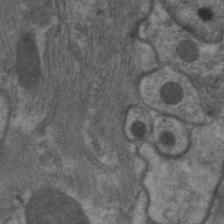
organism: C. elegans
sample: Pharynx